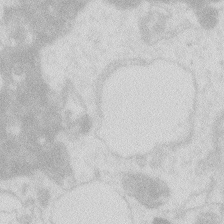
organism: Zebrafish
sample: Macrophage